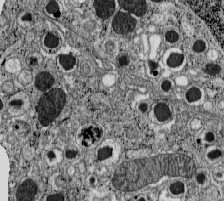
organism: C57BL Mouse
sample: Pancreatic islet